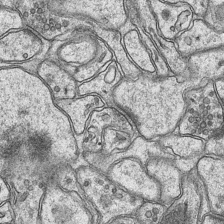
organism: Mouse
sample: CA1 Hippocampus